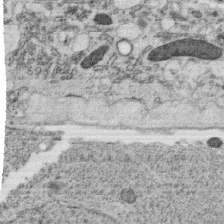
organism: C. elegans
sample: C. elegans oocyte; sperm cells